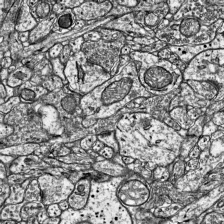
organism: Mouse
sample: Visual Cortex